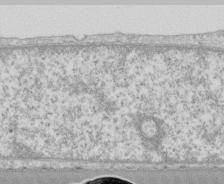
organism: Human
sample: CRL-1474